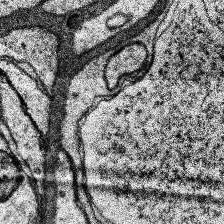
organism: Human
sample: Temporal Lobe